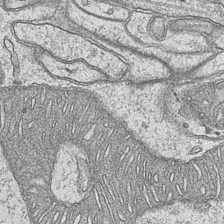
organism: Mouse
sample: CA1 Hippocampus